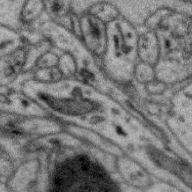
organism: Zebra finch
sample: Brain